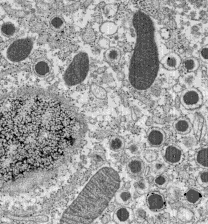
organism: C57BL Mouse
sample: Pancreatic islet